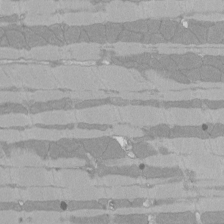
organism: Rat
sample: Left ventricle